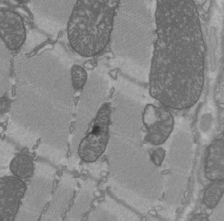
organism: C57BL Mouse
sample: Heart